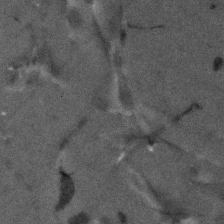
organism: Human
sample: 1205lu cells